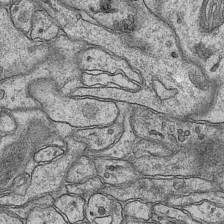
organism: Mouse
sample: CA1 Hippocampus